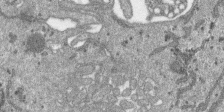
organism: Human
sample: Lung epithelial cells infected with SARS-CoV-2